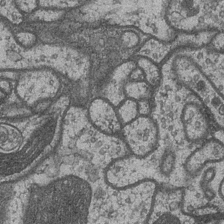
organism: Drosophila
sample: Optic medulla